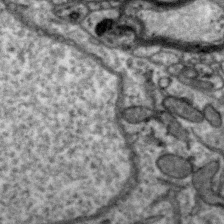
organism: Zebra finch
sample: Brain